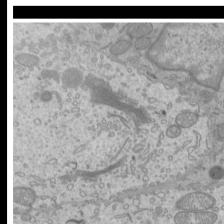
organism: Mouse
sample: Cilia; mouse epididymis